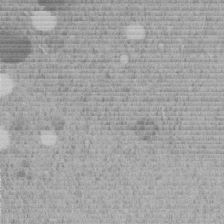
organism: C. elegans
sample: C. elegans embryo early stage